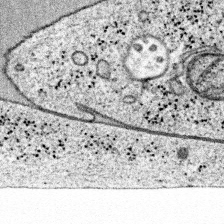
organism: Human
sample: HeLa cells